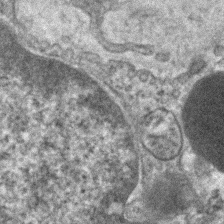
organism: Human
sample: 1205lu cells